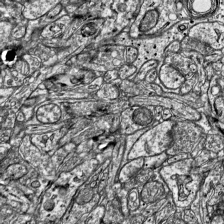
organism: Mouse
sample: Visual Cortex